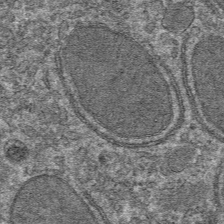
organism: Mouse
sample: Mouse hepatocytes